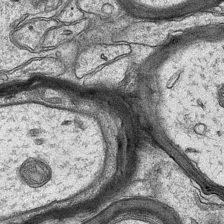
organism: Mouse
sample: CA1 Hippocampus